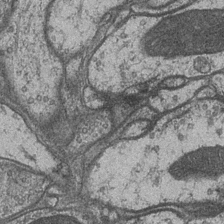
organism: Drosophila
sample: Optic medulla